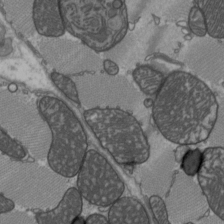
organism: C57BL Mouse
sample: Heart